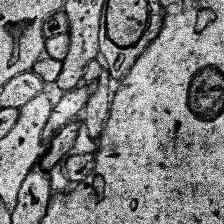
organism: Human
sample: Temporal Lobe